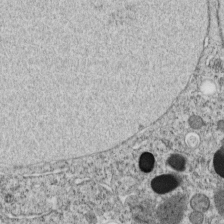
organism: C. elegans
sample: C. elegans embryo early stage